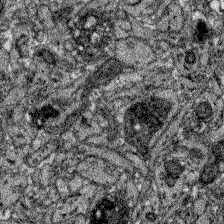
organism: Zebrafish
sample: Larval olfactory bulb